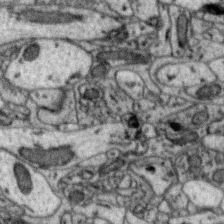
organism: Zebra finch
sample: Brain